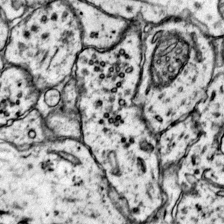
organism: Mouse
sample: Primary visual cortex